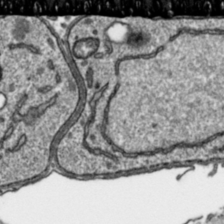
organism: Toxoplasma gondii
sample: Parasites in a vacuole inside a host cell